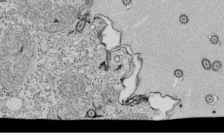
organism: Tetrahymena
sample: Cilia in tetrahymena